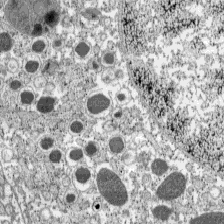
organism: C57BL Mouse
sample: Pancreatic islet